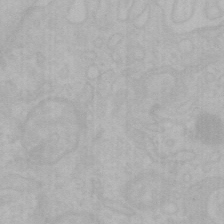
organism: Mouse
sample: Choroid plexus